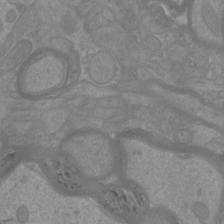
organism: Mouse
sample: Cortical neurons